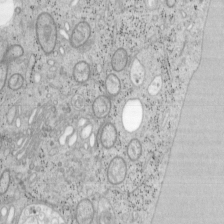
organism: Mouse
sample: OT-I killer T cells with ID8 ovarian cancer cells